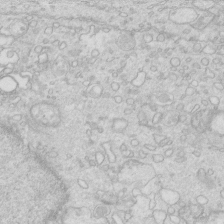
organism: Mouse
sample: Multiciliated cells